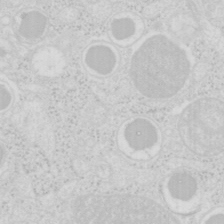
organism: Mouse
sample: Pancreas